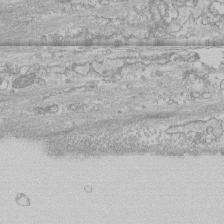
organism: Human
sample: CRL-1474